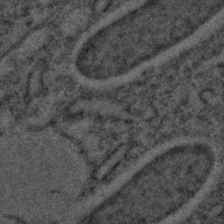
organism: C. elegans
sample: C. elegans embryo